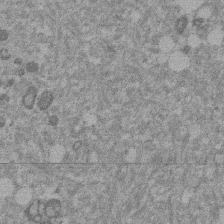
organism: Mouse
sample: Dividing mouse embryo 1 cell stage